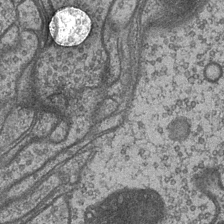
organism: Drosophila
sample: Optic medulla